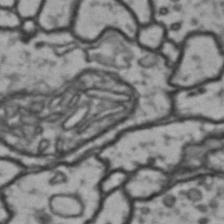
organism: Drosophila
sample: Brain